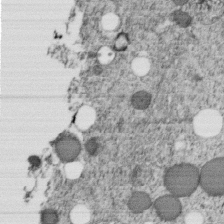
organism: C. elegans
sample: C. elegans embryo early stage